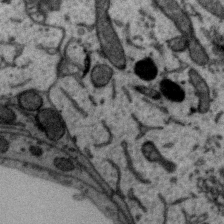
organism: Zebra finch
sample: Brain